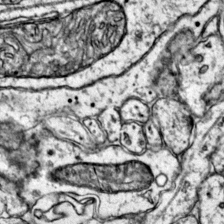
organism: Mouse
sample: Primary visual cortex